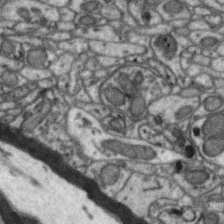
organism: Zebra finch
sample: Brain